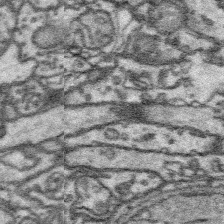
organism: Platynereis dumerilii